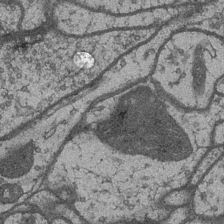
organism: Drosophila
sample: Optic medulla